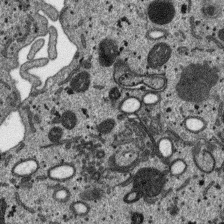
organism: Human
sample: Lung epithelial cells infected with SARS-CoV-2